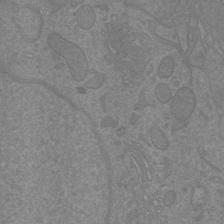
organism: Mouse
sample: Cortical neurons